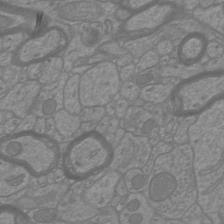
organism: Mouse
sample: Cortical neurons